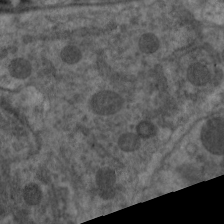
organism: C. elegans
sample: Pharynx